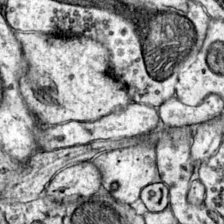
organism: Mouse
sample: Primary visual cortex